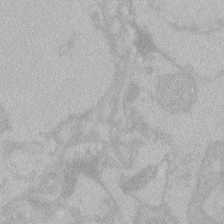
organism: Zebrafish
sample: Macrophage infected with Toxoplasma gondii